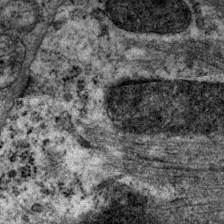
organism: P. pacificus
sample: Pharynx